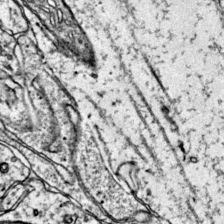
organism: Mouse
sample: Primary visual cortex